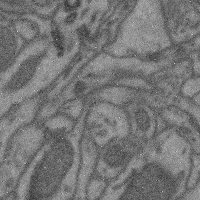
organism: Mouse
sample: Cerebral cortex